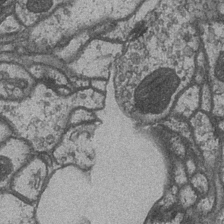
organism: Drosophila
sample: Optic medulla